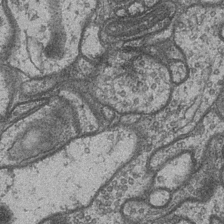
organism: Drosophila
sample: Optic medulla